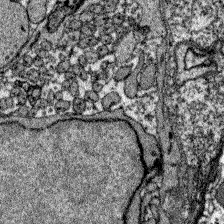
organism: Zebrafish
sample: Larval olfactory bulb